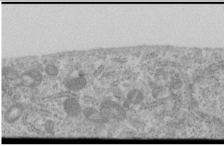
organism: Human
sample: Cilia; basal body in RPE cells